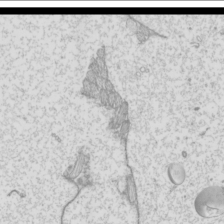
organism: Mouse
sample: Cilia; mouse epididymis